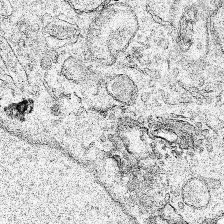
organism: Human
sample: Mitochondria in HCT116 cells